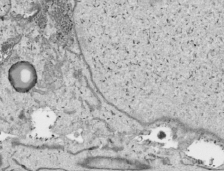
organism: Human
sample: Mitochondria in HCT116 cells